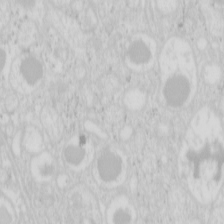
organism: Mouse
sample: Pancreas